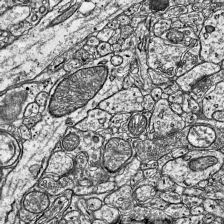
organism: Mouse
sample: Visual Cortex